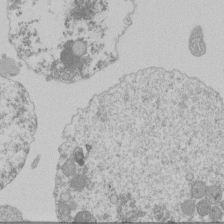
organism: Mouse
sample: Activated Pmel transgenic CD8+ T Cells